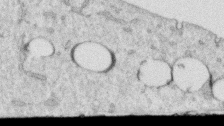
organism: Human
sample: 1205lu cells